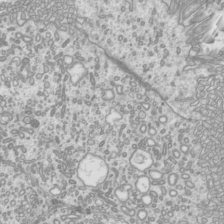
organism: Mouse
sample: Cilia; mouse epididymis